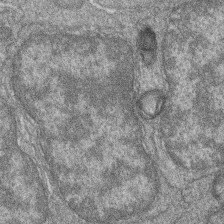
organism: Zebrafish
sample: Cilia; retinal pigment epithelium